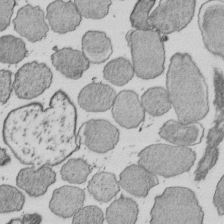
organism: E. coli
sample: Bacterial nucleoid